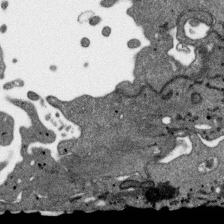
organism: Human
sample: Lung epithelial cells, uninfected (mock) control